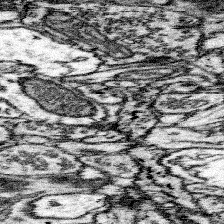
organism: Mouse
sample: Somatosensory cortex neuropil